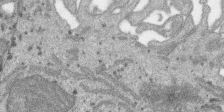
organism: Human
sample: Lung epithelial cells infected with SARS-CoV-2